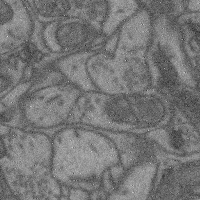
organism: Mouse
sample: Cerebral cortex